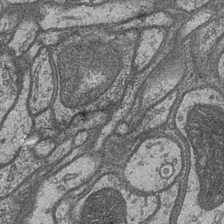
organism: Drosophila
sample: Optic medulla